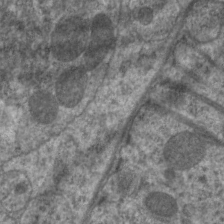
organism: C. elegans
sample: Pharynx